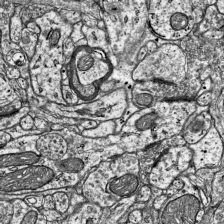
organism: Mouse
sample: Visual Cortex